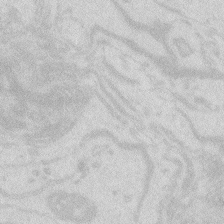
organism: Zebrafish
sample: Macrophage